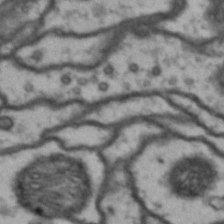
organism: Drosophila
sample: Brain